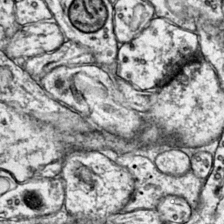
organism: Mouse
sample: Primary visual cortex